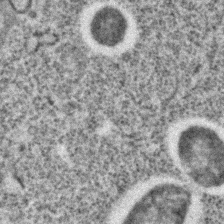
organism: C. elegans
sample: C. elegans embryo